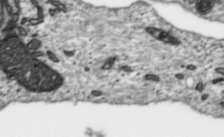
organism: Toxoplasma gondii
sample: Parasites in a vacuole inside a host cell